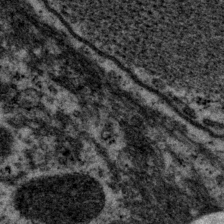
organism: P. pacificus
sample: Pharynx